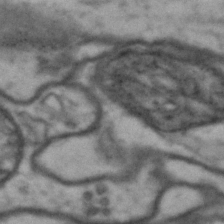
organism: Drosophila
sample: Brain